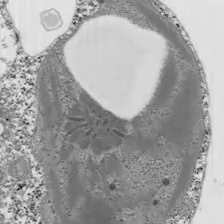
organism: Chlamydomonas reinhardtii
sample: Whole Cell